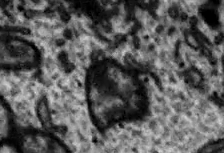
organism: Human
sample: HeLa cells